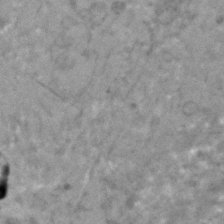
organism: Human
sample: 1205lu cells